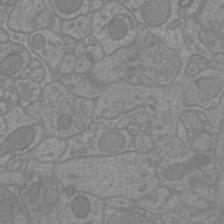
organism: Mouse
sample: Cortical neurons